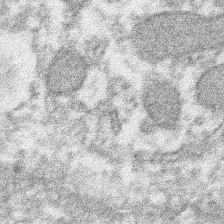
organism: Xenopus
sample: Cilia; centrioles in frog embryo cells